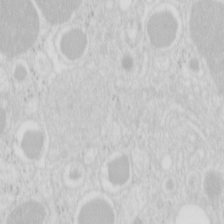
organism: Mouse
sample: Pancreas